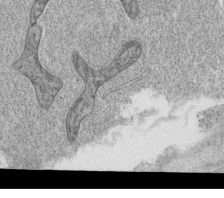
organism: C. elegans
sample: C. elegans oocyte; sperm cells